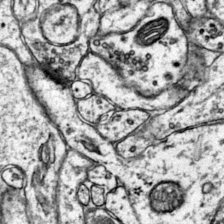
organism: Mouse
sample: Primary visual cortex